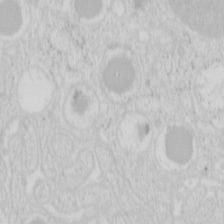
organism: Mouse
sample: Pancreas